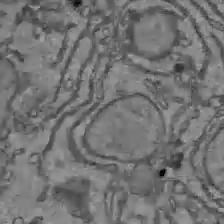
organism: C57BL Mouse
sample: Liver